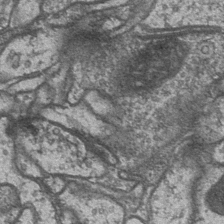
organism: Drosophila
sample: Optic medulla